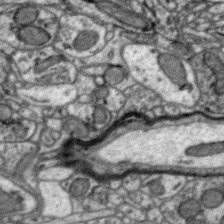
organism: Zebra finch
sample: Brain